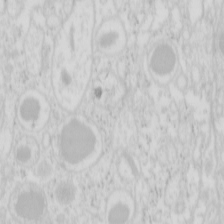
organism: Mouse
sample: Pancreas